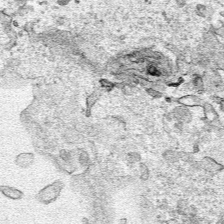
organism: Human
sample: Mitochondria in HCT116 cells